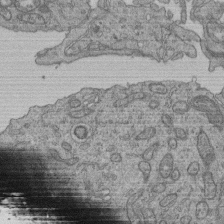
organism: Human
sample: Retinal organoid Rod and Cone cells